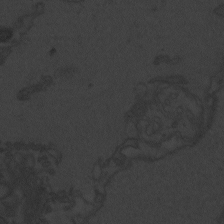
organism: Zebrafish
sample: Macrophage infected with Toxoplasma gondii